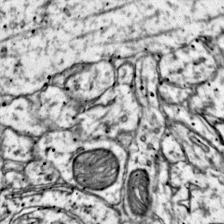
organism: Mouse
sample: Primary visual cortex